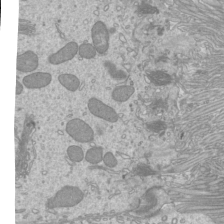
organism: Mouse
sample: Cilia; mouse epididymis